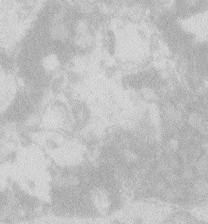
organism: Zebrafish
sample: Macrophage